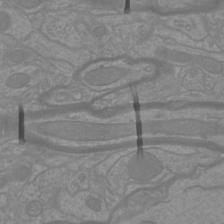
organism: Mouse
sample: Cortical neurons